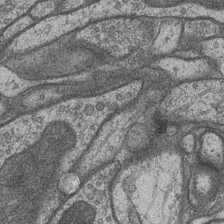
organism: Drosophila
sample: Optic medulla